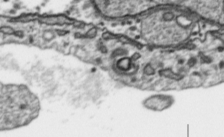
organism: Toxoplasma gondii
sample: Parasites in a vacuole inside a host cell